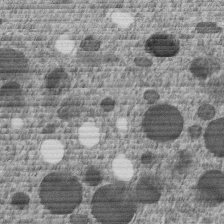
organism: C. elegans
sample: C. elegans embryo early stage